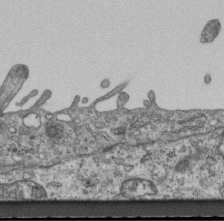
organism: Mouse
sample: Centriole in ependymal cells